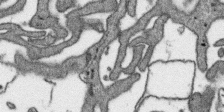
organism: Human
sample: Lung epithelial cells, uninfected (mock) control